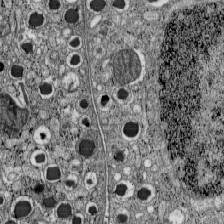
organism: C57BL Mouse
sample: Pancreatic islet